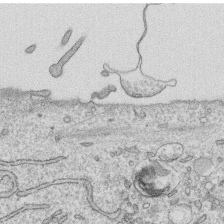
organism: Human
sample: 1205lu cells